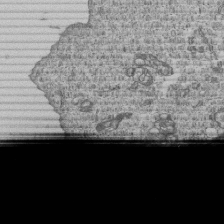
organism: Human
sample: MDA-MB-231 cells